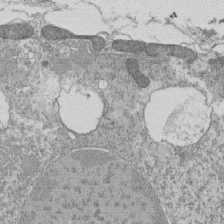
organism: Tetrahymena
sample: Cilia in tetrahymena